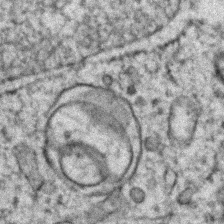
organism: Zebrafish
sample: Zebrafish embryo